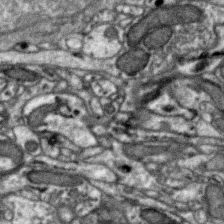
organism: Zebra finch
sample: Brain